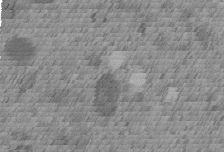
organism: C. elegans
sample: C. elegans embryo early stage